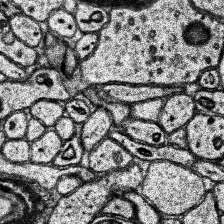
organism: Human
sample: Temporal Lobe